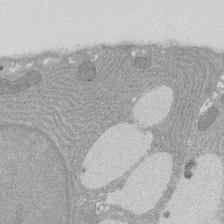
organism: Rat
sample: Salivary granule